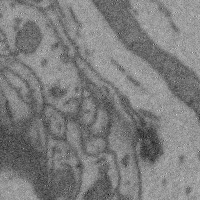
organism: Mouse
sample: Cerebral cortex